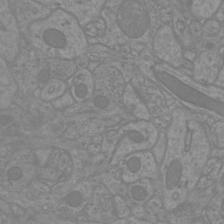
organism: Mouse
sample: Cortical neurons